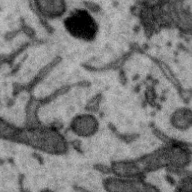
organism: Zebra finch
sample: Brain